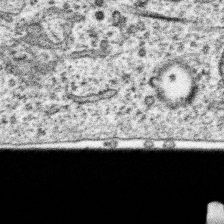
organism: Human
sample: HeLa cells